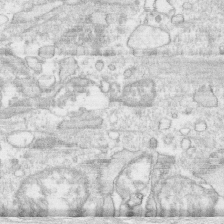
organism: Human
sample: CRL-1474